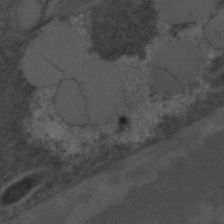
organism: C. elegans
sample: C. elegans embryo